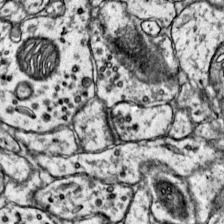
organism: Mouse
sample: Primary visual cortex